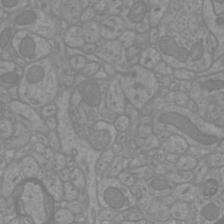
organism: Mouse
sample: Cortical neurons